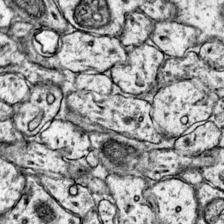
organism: Mouse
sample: Primary visual cortex